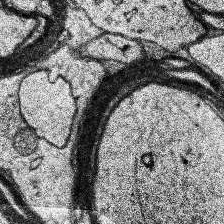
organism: Human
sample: Temporal Lobe